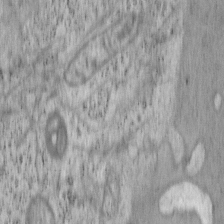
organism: Human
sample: HeLa cells